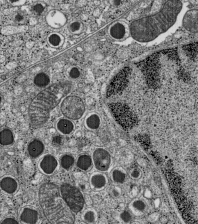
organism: C57BL Mouse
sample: Pancreatic islet